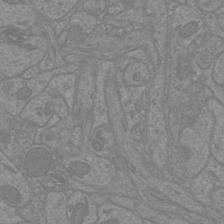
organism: Mouse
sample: Cortical neurons